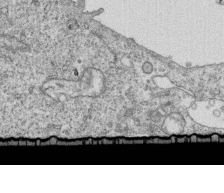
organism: Human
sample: HeLa cell HIV synapse